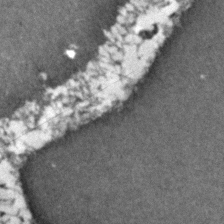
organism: Zebrafish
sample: Zebrafish embryo